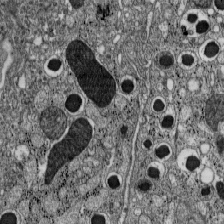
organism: C57BL Mouse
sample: Pancreatic islet